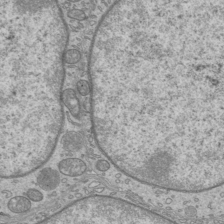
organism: Mouse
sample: Cilia; mouse epididymis